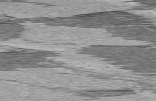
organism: C57BL Mouse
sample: Heart